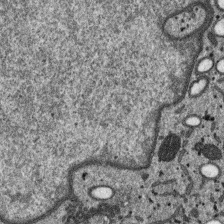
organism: Human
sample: Lung epithelial cells infected with SARS-CoV-2